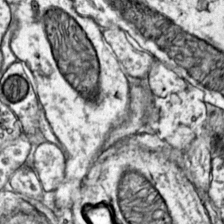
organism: Mouse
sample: Primary visual cortex